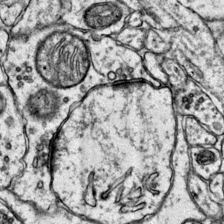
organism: Mouse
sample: Primary visual cortex